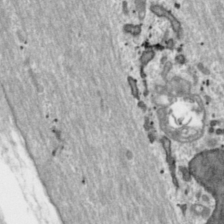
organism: Toxoplasma gondii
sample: Parasites in a vacuole inside a host cell